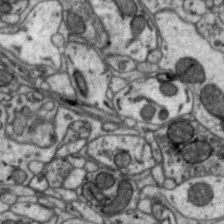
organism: Zebra finch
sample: Brain